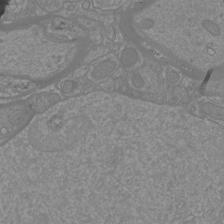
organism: Mouse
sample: Cortical neurons